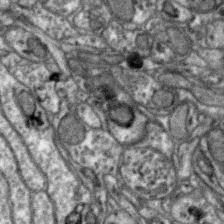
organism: Zebra finch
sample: Brain